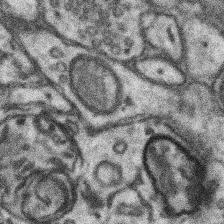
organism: Mouse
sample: Somatosensory cortex neuropil